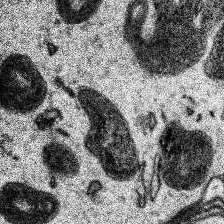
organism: Human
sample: Temporal Lobe